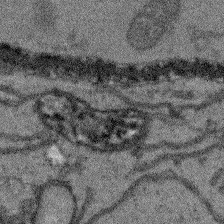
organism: Arabidopsis thaliana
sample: Root tip